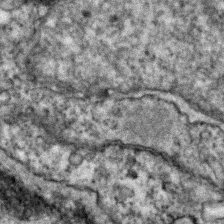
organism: Zebrafish